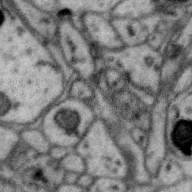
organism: Zebra finch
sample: Brain